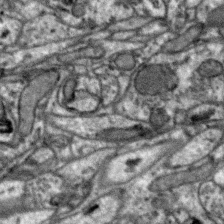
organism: Zebra finch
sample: Brain